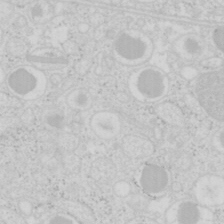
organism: Mouse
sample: Pancreas